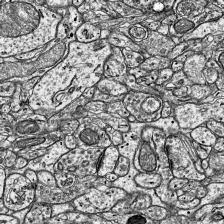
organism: Mouse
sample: Visual Cortex